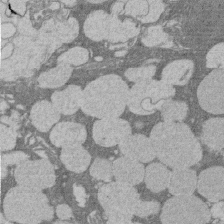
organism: Rat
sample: Salivary granule